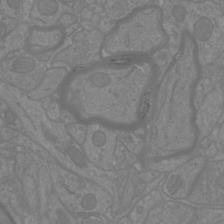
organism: Mouse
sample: Cortical neurons